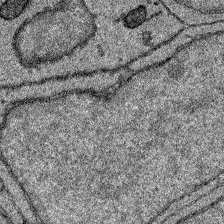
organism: Zebrafish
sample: Larval olfactory bulb